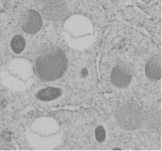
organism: C. elegans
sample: C. elegans embryo early stage